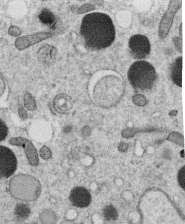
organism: C. elegans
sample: C. elegans oocyte; sperm cells